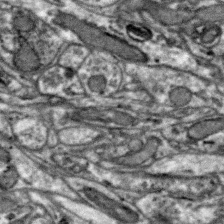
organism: Zebra finch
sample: Brain